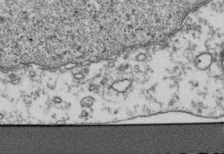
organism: Human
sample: Activated Jurkat CD4+ T cells